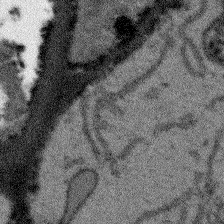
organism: Arabidopsis thaliana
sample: Root tip